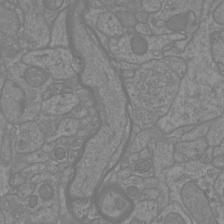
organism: Mouse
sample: Cortical neurons